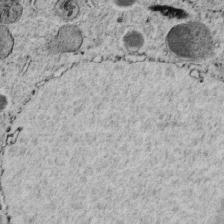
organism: C. elegans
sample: C. elegans embryo early stage